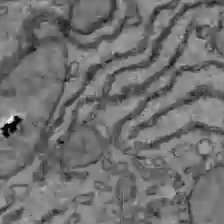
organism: C57BL Mouse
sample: Liver